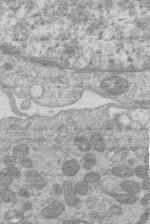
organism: Human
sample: Macrophage cells